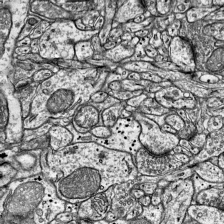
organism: Mouse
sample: Visual Cortex